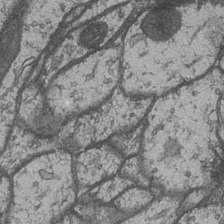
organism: Drosophila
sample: Optic medulla